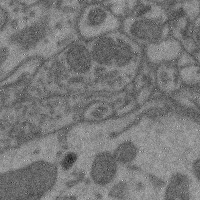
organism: Mouse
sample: Cerebral cortex